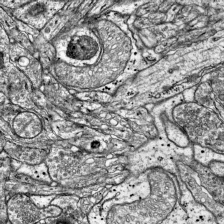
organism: Mouse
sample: Visual Cortex